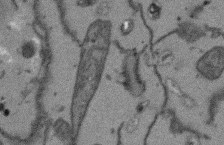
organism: Arabidopsis thaliana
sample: Root tip